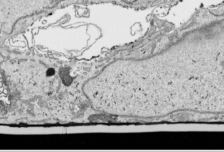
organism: Human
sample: Mitochondria in HCT116 cells